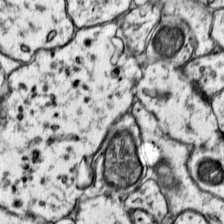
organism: Mouse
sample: Primary visual cortex